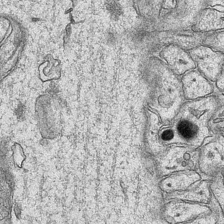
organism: Mouse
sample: CA1 Hippocampus